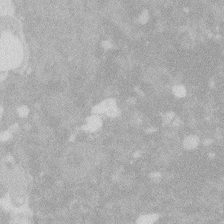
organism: Zebrafish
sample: Macrophage